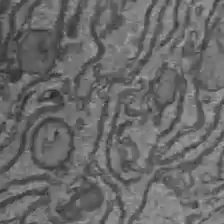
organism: C57BL Mouse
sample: Liver